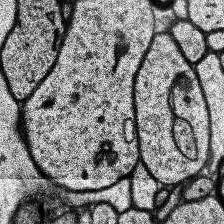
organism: Human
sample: Temporal Lobe